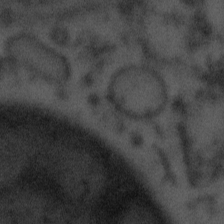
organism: Tuwongella immobilis